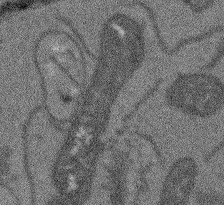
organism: Arabidopsis thaliana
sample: Root tip